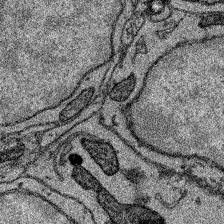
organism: Zebrafish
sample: Larval olfactory bulb